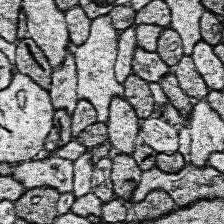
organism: Human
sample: Temporal Lobe